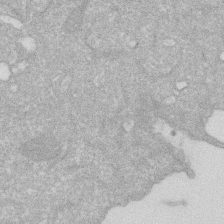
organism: Human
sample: HIV infected U937 cells